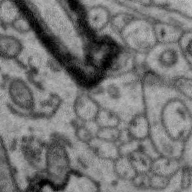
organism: Zebra finch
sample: Brain